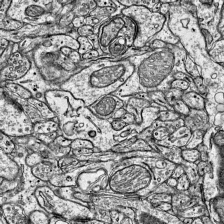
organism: Mouse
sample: Visual Cortex